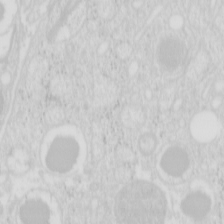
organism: Mouse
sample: Pancreas